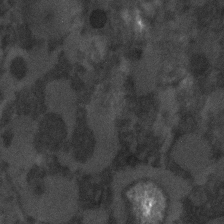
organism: C. elegans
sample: C. elegans embryo